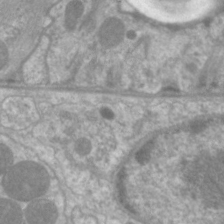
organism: C. elegans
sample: Pharynx